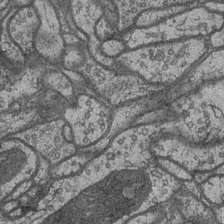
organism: Drosophila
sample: Optic medulla